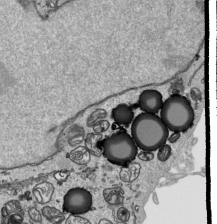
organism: Human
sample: Mitochondria in HCT116 cells